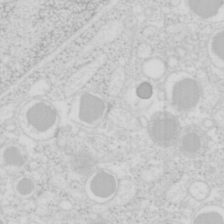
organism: Mouse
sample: Pancreas